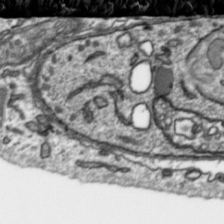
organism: Toxoplasma gondii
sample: Parasites in a vacuole inside a host cell